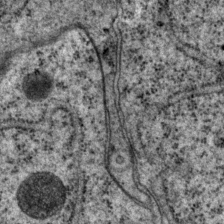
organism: P. pacificus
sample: Pharynx